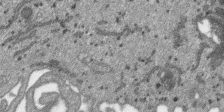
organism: Human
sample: Lung epithelial cells infected with SARS-CoV-2